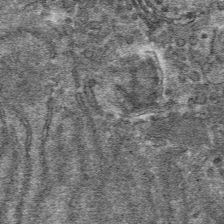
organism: Mouse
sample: Mouse hepatocytes